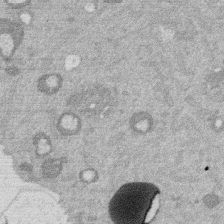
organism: Mouse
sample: Dividing mouse embryo 1 cell stage